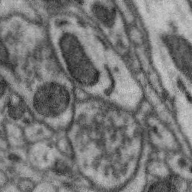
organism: Zebra finch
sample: Brain